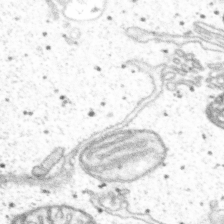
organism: Human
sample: HeLa cells